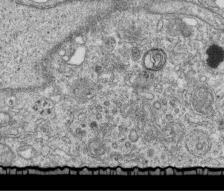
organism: Human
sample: HeLa cell HIV synapse